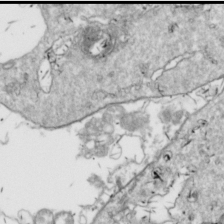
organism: Drosophila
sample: Cell division; meiosis; drosophila spermatocytes